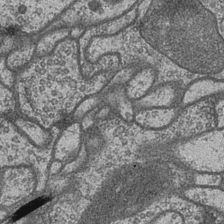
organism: Drosophila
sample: Optic medulla